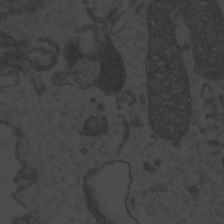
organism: Zebrafish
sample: Macrophage infected with Toxoplasma gondii